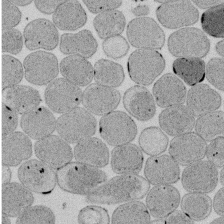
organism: E. coli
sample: Bacterial nucleoid